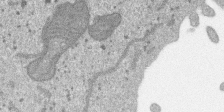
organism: Human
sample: Lung epithelial cells infected with SARS-CoV-2